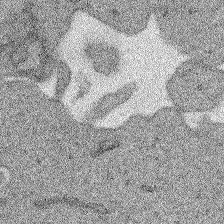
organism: Human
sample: HeLa cells